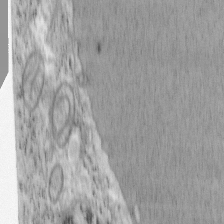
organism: Human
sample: HeLa cells